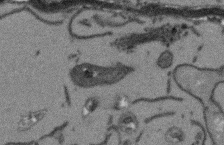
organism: Arabidopsis thaliana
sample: Root tip